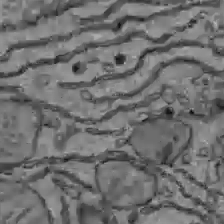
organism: C57BL Mouse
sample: Liver